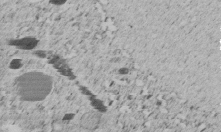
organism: C. elegans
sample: C. elegans embryo early stage